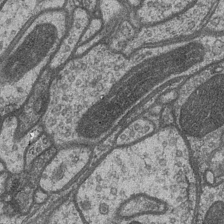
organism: Drosophila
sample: Optic medulla